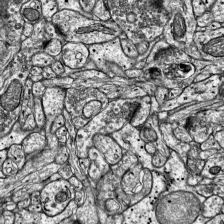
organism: Mouse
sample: Visual Cortex